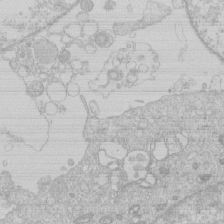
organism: Human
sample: Macrophage cells